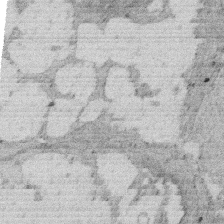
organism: Rat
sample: Salivary granule